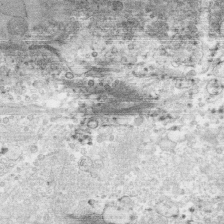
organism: Human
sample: CRL-1474